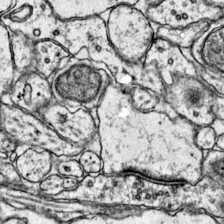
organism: Mouse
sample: Primary visual cortex